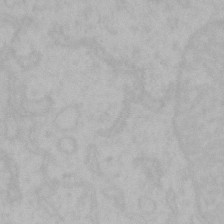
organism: Mouse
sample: Choroid plexus